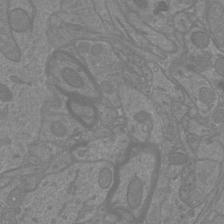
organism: Mouse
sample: Cortical neurons